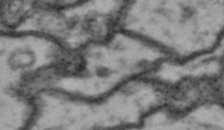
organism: Drosophila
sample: Brain